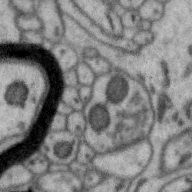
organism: Zebra finch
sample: Brain